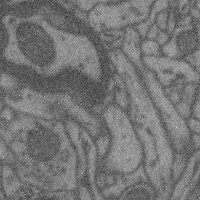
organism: Mouse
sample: Cerebral cortex